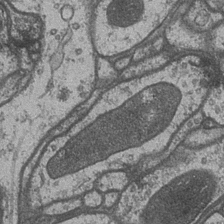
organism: Drosophila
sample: Optic medulla